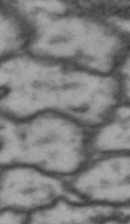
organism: Drosophila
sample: Brain